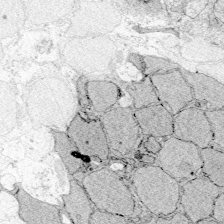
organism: Zebrafish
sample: Whole-Brain